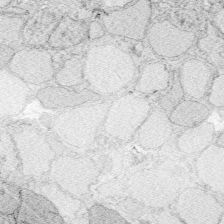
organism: Zebrafish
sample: Whole-Brain